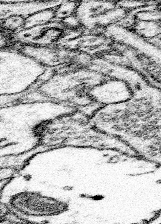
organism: Mouse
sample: Somatosensory cortex neuropil